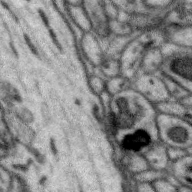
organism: Zebra finch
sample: Brain